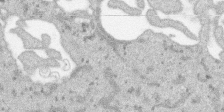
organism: Human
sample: Lung epithelial cells infected with SARS-CoV-2